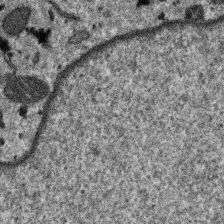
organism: Human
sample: Lung epithelial cells infected with SARS-CoV-2